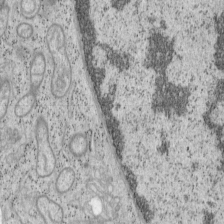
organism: Mouse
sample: OT-I killer T cells with ID8 ovarian cancer cells